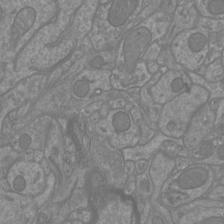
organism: Mouse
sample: Cortical neurons